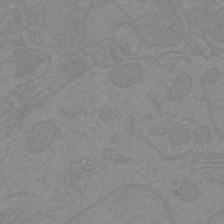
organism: Mouse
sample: Cortical neurons